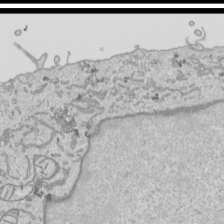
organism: Human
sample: Mitochondria in HCT116 cells